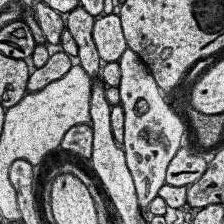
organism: Human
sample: Temporal Lobe